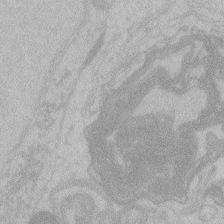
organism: Zebrafish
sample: Macrophage infected with Toxoplasma gondii